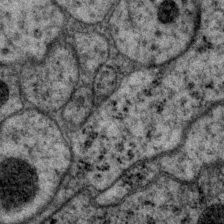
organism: P. pacificus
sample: Pharynx